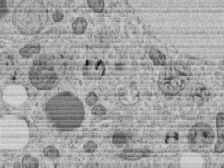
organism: C. elegans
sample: C. elegans embryo early stage